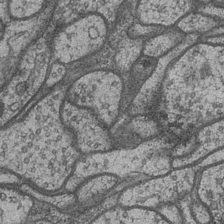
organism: Drosophila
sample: Optic medulla